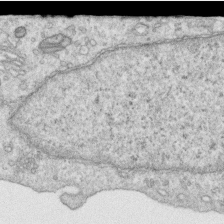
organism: Human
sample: Centriole in RPE cells